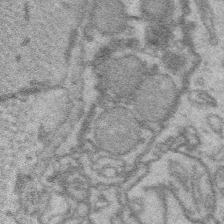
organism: Platynereis dumerilii